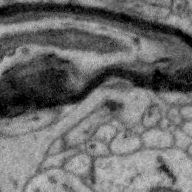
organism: Zebra finch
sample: Brain